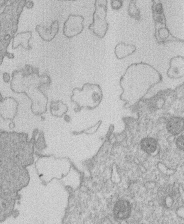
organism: Human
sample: Macrophage cells